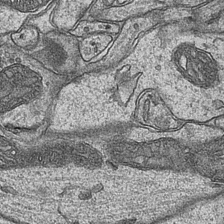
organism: Mouse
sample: CA1 Hippocampus